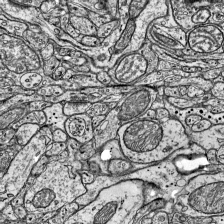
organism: Mouse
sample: Visual Cortex